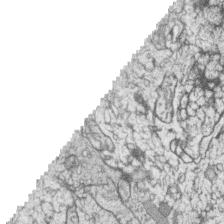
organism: Zebrafish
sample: synaptic ribbons in rod cells and cone cells